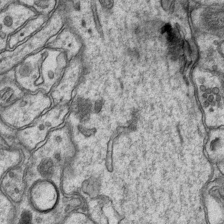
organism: Mouse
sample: CA1 Hippocampus